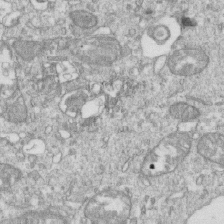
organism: Mouse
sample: Activated OT-1 CD8+ T cells